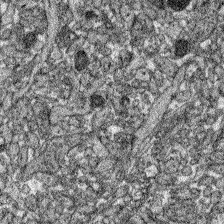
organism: Zebrafish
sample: Larval olfactory bulb